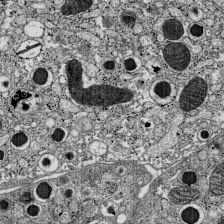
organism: C57BL Mouse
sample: Pancreatic islet